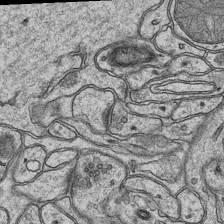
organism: Mouse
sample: CA1 Hippocampus